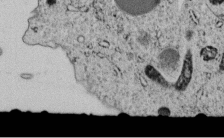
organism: C. elegans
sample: C. elegans embryo early stage